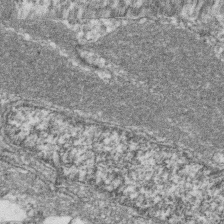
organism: Zebrafish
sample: Cilia; retinal pigment epithelium